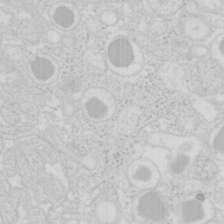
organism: Mouse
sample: Pancreas